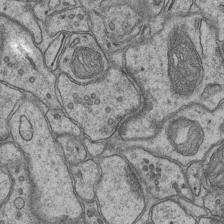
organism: Mouse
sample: CA1 Hippocampus